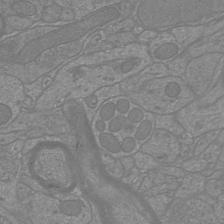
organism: Mouse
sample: Cortical neurons